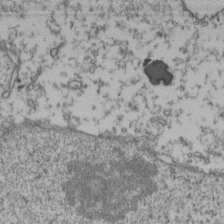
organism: Human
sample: Activated Jurkat CD4+ T cells